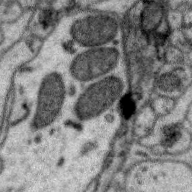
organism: Zebra finch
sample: Brain